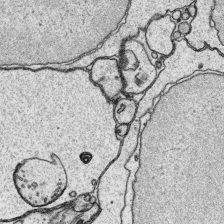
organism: Platynereis dumerilii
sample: Parapodia